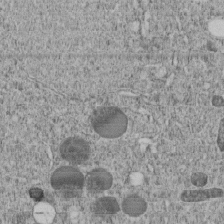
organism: C. elegans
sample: C. elegans embryo early stage